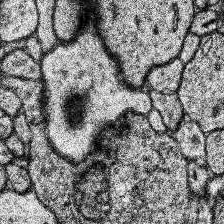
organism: Human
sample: Temporal Lobe